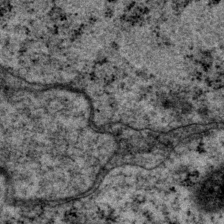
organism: P. pacificus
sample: Pharynx